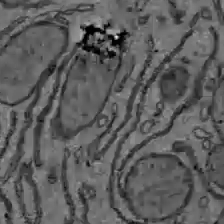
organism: C57BL Mouse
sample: Liver